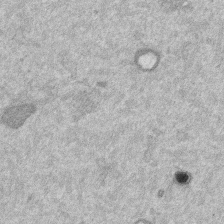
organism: Mouse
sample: Dividing mouse embryo 1 cell stage